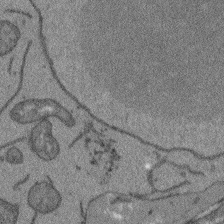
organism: Arabidopsis thaliana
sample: Root tip